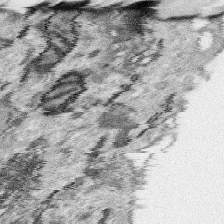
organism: Human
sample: HeLa cells